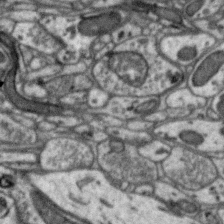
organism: Zebra finch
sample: Brain